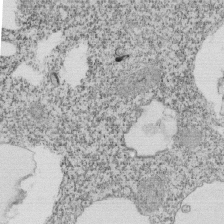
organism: Tetrahymena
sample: Cilia in tetrahymena